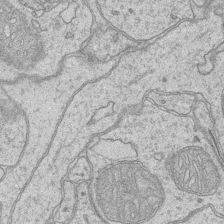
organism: Mouse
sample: CA1 Hippocampus